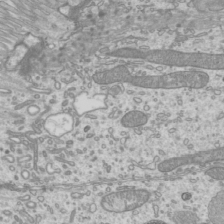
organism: Mouse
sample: Cilia; mouse epididymis